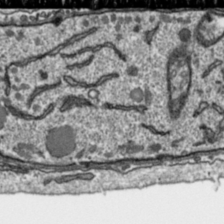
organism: Toxoplasma gondii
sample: Parasites in a vacuole inside a host cell